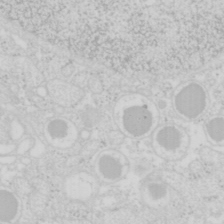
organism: Mouse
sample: Pancreas